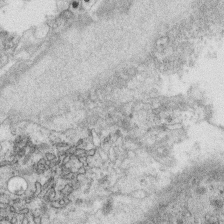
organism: C. elegans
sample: C. elegans oocyte; sperm cells